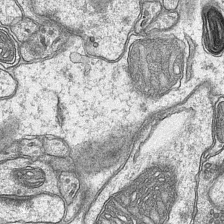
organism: Mouse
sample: CA1 Hippocampus